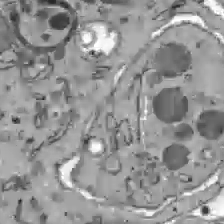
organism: C57BL Mouse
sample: Liver